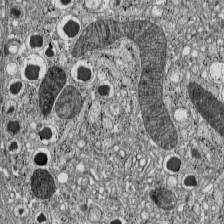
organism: C57BL Mouse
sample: Pancreatic islet